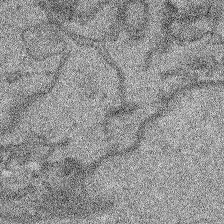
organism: Human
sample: HeLa cells